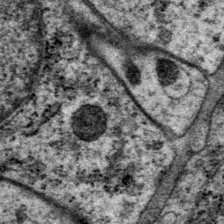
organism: P. pacificus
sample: Pharynx